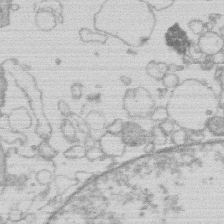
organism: Human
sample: Macrophage cells